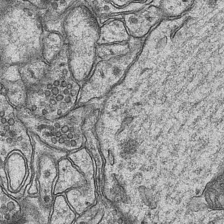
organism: Mouse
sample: CA1 Hippocampus